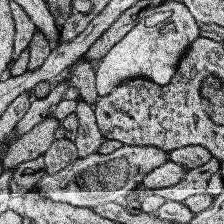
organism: Human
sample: Temporal Lobe